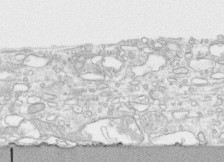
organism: Human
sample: CRL-1474